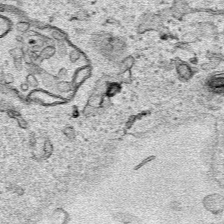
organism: Human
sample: Mitochondria in HCT116 cells